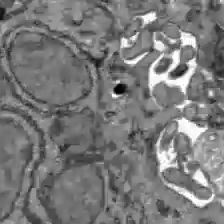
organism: C57BL Mouse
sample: Liver